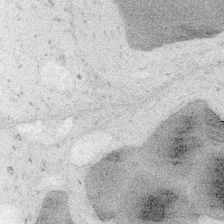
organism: Embia sp.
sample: Silk gland